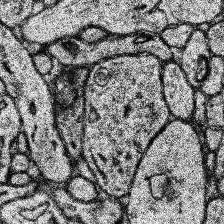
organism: Human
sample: Temporal Lobe